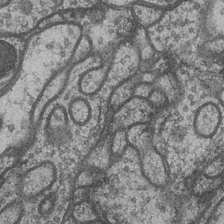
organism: Drosophila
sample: Optic medulla